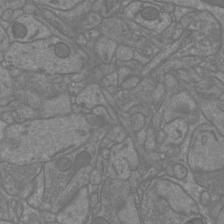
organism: Mouse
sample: Cortical neurons